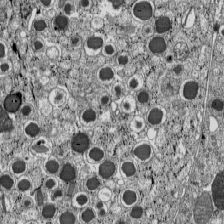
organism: C57BL Mouse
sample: Pancreatic islet